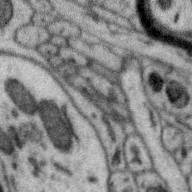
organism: Zebra finch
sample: Brain